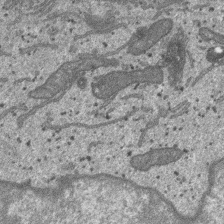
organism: Human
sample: Lung epithelial cells infected with SARS-CoV-2